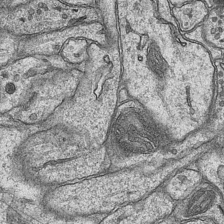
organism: Mouse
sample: CA1 Hippocampus